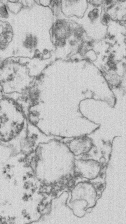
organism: Human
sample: HeLa cell HIV synapse